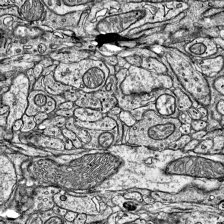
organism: Mouse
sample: Visual Cortex